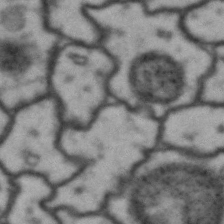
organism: Drosophila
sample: Brain